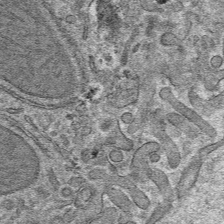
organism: Mouse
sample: Mouse hepatocytes